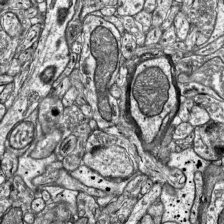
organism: Mouse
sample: Visual Cortex